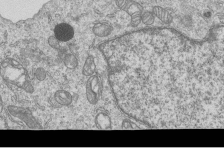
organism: Human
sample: MDA-MB-231 cells